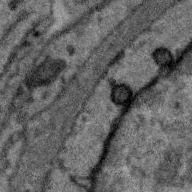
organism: Zebra finch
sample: Brain